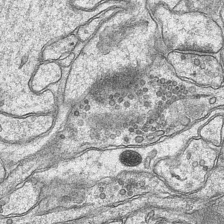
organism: Mouse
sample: CA1 Hippocampus